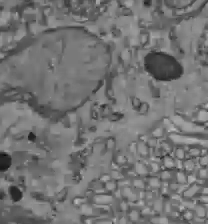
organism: C57BL Mouse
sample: Liver